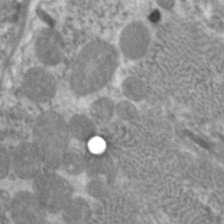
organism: C. elegans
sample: Pharynx